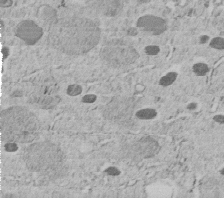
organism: C. elegans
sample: C. elegans embryo early stage